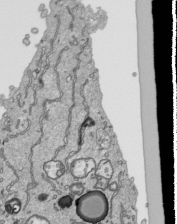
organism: Human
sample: Mitochondria in HCT116 cells